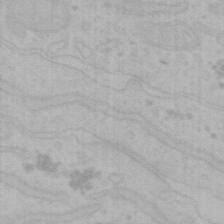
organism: Mouse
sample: Choroid plexus